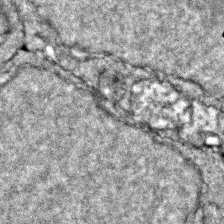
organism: Zebrafish